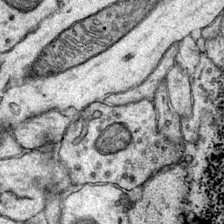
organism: Mouse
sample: Primary visual cortex